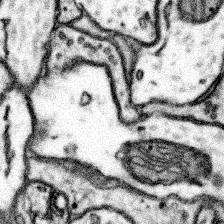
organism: Mouse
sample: Somatosensory cortex neuropil